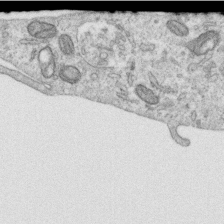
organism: Human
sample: Centriole in RPE cells